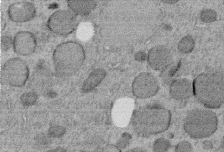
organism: C. elegans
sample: C. elegans embryo early stage